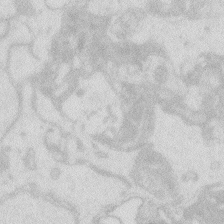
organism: Zebrafish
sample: Macrophage